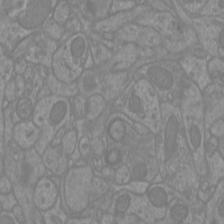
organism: Mouse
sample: Cortical neurons